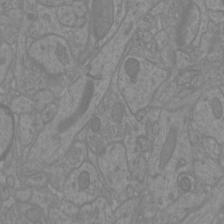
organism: Mouse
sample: Cortical neurons